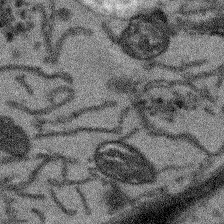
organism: Arabidopsis thaliana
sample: Root tip